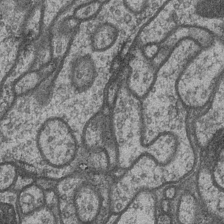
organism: Drosophila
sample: Optic medulla